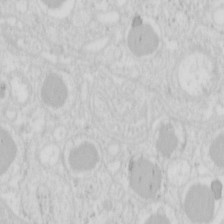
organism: Mouse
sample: Pancreas